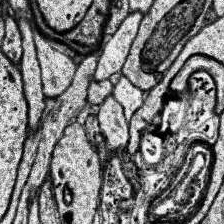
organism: Human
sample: Temporal Lobe